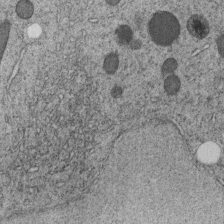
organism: C. elegans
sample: C. elegans embryo early stage